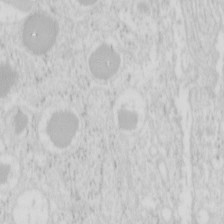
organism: Mouse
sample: Pancreas